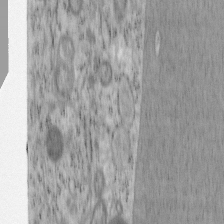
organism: Human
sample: HeLa cells